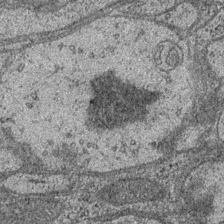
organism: Drosophila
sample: Optic medulla